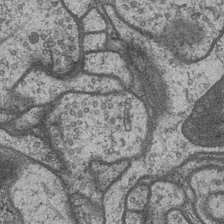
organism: Drosophila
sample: Optic medulla